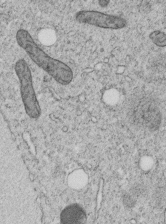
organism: C. elegans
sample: C. elegans embryo early stage